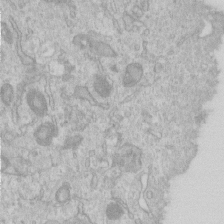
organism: Human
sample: Centriole in RPE cells